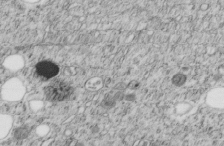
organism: C. elegans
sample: C. elegans embryo early stage